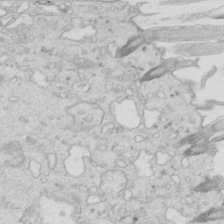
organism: Mouse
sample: Multiciliated cells